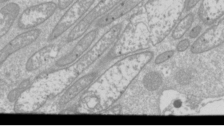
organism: Drosophila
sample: Cell division; meiosis; drosophila spermatocytes